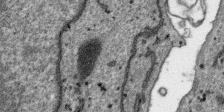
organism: Human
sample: Lung epithelial cells, uninfected (mock) control